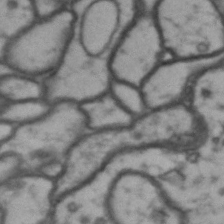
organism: Drosophila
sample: Brain